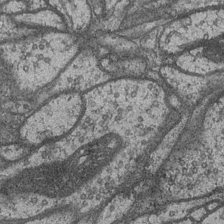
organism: Drosophila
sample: Optic medulla